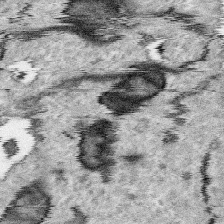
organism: Human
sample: HeLa cells